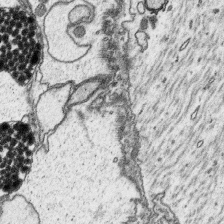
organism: Platynereis dumerilii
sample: Parapodia